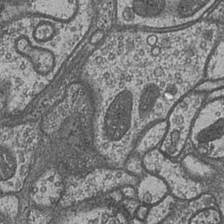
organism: Drosophila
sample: Optic medulla